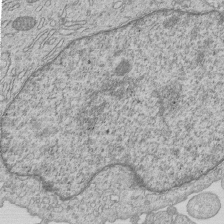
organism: Human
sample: MDA-MB-231 cells